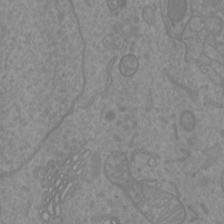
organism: Mouse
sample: Cortical neurons